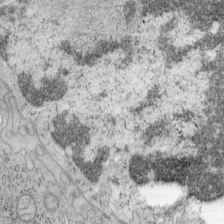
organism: Mouse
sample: OT-I killer T cells with ID8 ovarian cancer cells